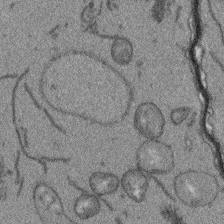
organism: Arabidopsis thaliana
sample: Root tip